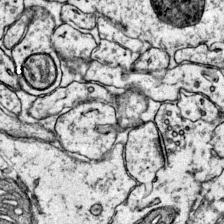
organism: Mouse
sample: Primary visual cortex